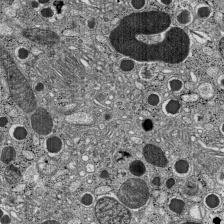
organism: C57BL Mouse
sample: Pancreatic islet